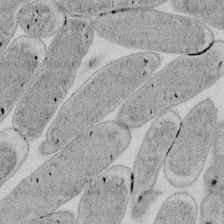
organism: E. coli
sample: Bacterial nucleoid